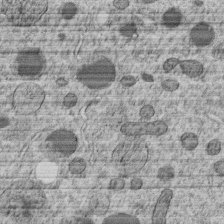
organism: C. elegans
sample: C. elegans embryo early stage